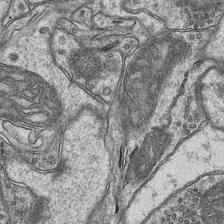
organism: Mouse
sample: CA1 Hippocampus